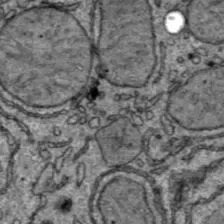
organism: C57BL Mouse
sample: Liver